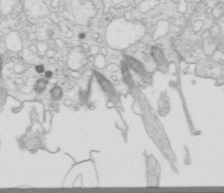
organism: Mouse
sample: Multiciliated cells